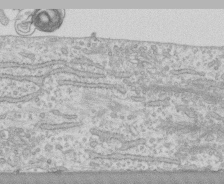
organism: Human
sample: CRL-1474